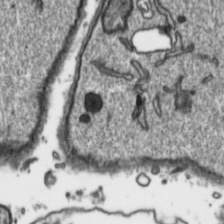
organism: Toxoplasma gondii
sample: Parasites in a vacuole inside a host cell